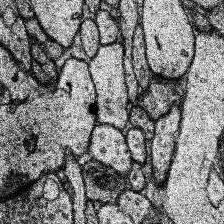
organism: Human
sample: Temporal Lobe